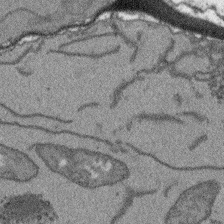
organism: Arabidopsis thaliana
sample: Root tip